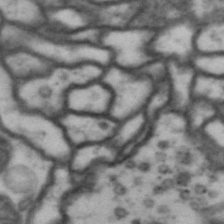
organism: Drosophila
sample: Brain